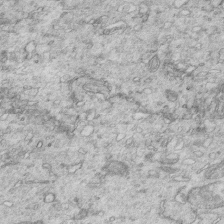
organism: Mouse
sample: Multiciliated cells